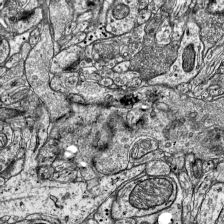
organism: Mouse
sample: Visual Cortex